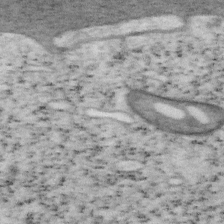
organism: Mouse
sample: OT-I killer T cells with ID8 ovarian cancer cells